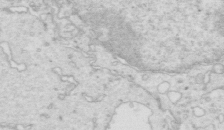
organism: Mouse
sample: Multiciliated cells